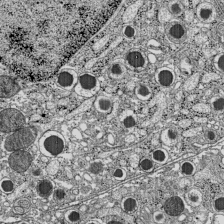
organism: C57BL Mouse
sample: Pancreatic islet